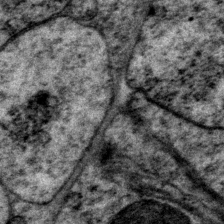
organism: P. pacificus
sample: Pharynx